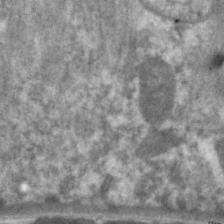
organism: C. elegans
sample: Pharynx